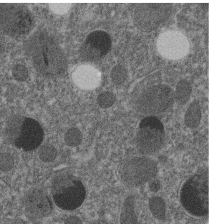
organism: C. elegans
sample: C. elegans embryo early stage